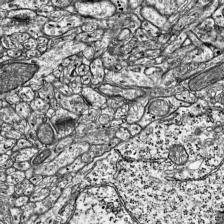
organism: Mouse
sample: Visual Cortex